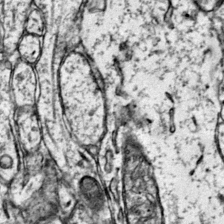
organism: Mouse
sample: Primary visual cortex